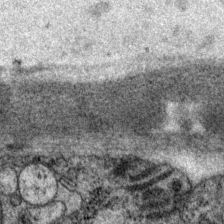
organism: P. pacificus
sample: Pharynx